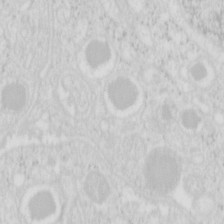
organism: Mouse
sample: Pancreas